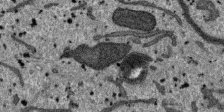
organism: Human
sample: Lung epithelial cells, uninfected (mock) control